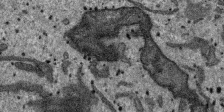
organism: Human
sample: Lung epithelial cells, uninfected (mock) control